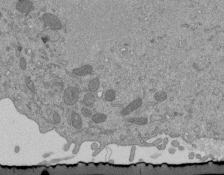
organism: Mouse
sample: ED-1 cell nuclei; centrioles